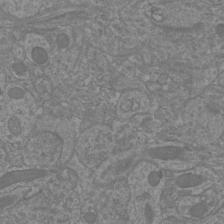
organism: Mouse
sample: Cortical neurons